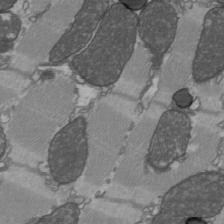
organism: C57BL Mouse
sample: Heart